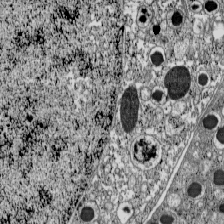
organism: C57BL Mouse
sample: Pancreatic islet